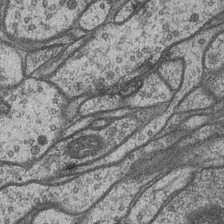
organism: Drosophila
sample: Optic medulla